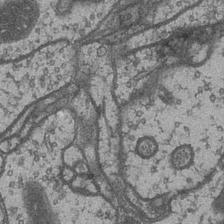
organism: Drosophila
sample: Optic medulla